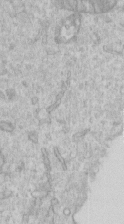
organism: Human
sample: Centriole in RPE cells